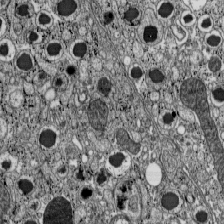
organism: C57BL Mouse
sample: Pancreatic islet